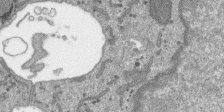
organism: Human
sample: Lung epithelial cells infected with SARS-CoV-2